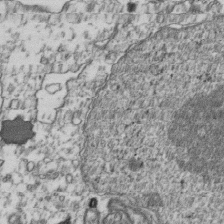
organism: Human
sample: Activated Jurkat CD4+ T cells